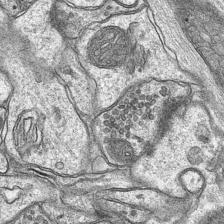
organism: Mouse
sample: CA1 Hippocampus